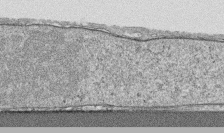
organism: Human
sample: CRL-1474